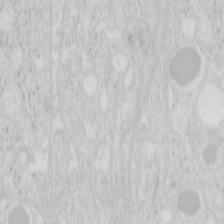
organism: Mouse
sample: Pancreas